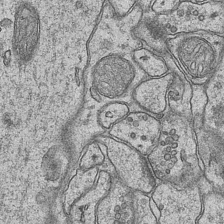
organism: Mouse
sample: CA1 Hippocampus